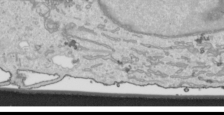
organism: Human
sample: Mitochondria in HCT116 cells